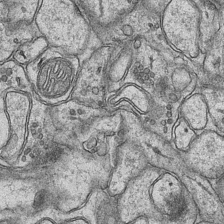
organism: Mouse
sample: CA1 Hippocampus